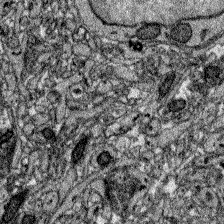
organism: Zebrafish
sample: Larval olfactory bulb